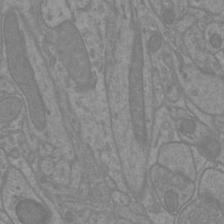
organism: Mouse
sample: Cortical neurons